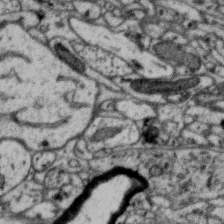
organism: Zebra finch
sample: Brain